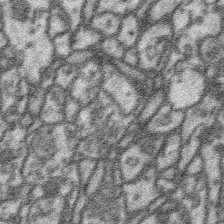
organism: Platynereis dumerilii